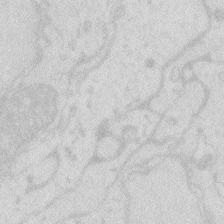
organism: Zebrafish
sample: Macrophage